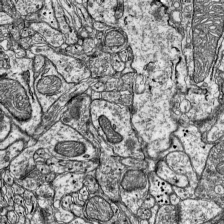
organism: Mouse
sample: Visual Cortex